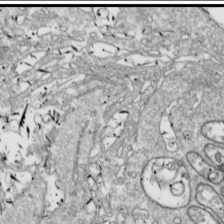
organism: Drosophila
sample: Cell division; meiosis; drosophila spermatocytes